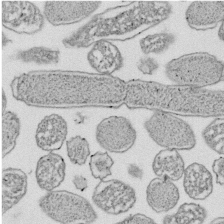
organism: E. coli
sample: Bacterial nucleoid